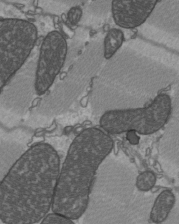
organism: C57BL Mouse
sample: Heart